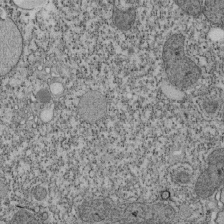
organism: Tetrahymena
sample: Cilia in tetrahymena